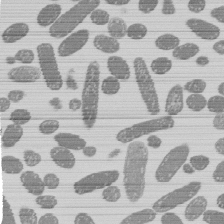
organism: E. coli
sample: Bacterial nucleoid